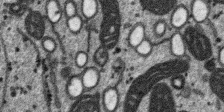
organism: Human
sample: Lung epithelial cells infected with SARS-CoV-2